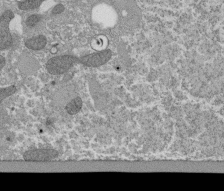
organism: Tetrahymena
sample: Cilia in tetrahymena